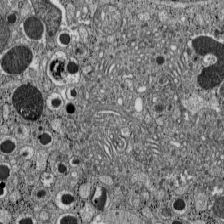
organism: C57BL Mouse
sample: Pancreatic islet